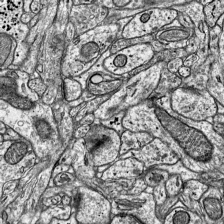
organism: Mouse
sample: Visual Cortex